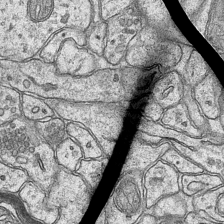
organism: Mouse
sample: CA1 Hippocampus